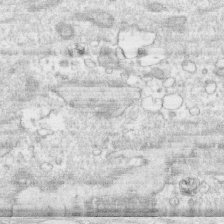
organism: Human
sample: CRL-1474